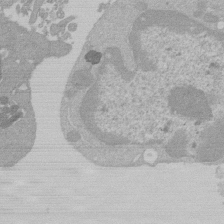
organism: Mouse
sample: Activated Pmel transgenic CD8+ T Cells